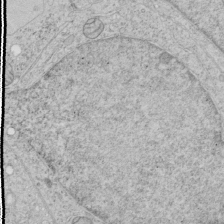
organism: Human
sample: Mitochondria in HCT116 cells